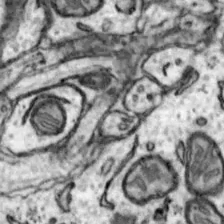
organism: Mouse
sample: Nucleus accumbens